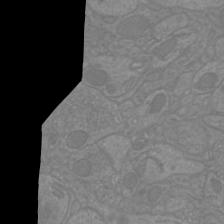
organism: Mouse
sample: Cortical neurons